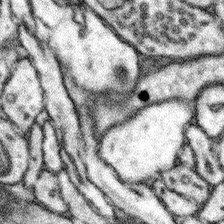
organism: Mouse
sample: Somatosensory cortex neuropil